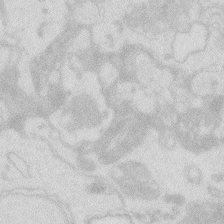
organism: Zebrafish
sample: Macrophage